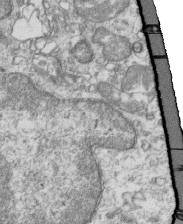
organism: Mouse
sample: Activated OT-1 CD8+ T cells